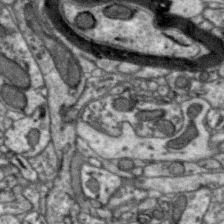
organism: Zebra finch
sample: Brain